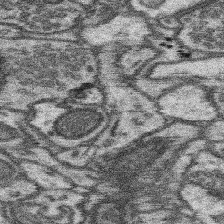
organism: Mouse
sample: Somatosensory cortex neuropil